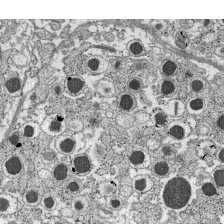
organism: C57BL Mouse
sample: Pancreatic islet